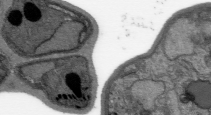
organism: Plasmodium falciparum